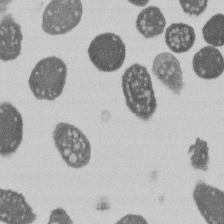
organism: E. coli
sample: Bacterial nucleoid